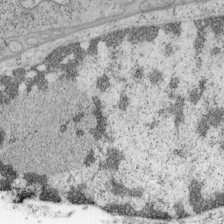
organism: Mouse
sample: OT-I killer T cells with ID8 ovarian cancer cells